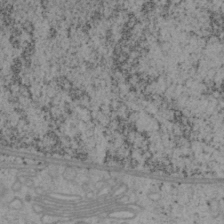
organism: Human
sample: HeLa cells